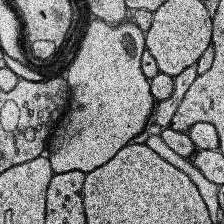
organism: Human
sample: Temporal Lobe